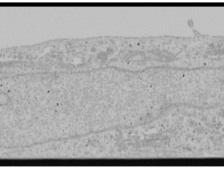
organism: Human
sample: Mitochondria in U2OS cells